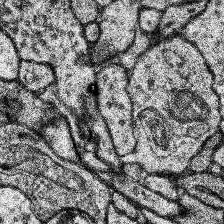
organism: Human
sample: Temporal Lobe